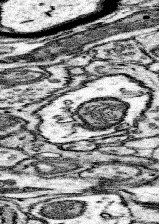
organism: Mouse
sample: Somatosensory cortex neuropil